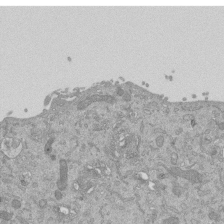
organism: Mouse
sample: ED-1 cell nuclei; centrioles